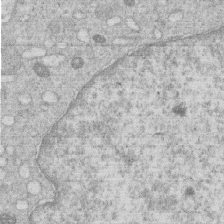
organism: Human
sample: Macrophage cells